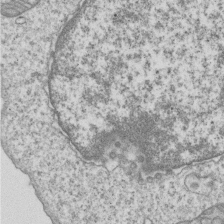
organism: Human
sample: MDA-MB-231 cells